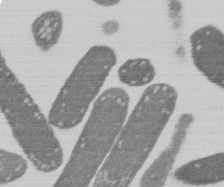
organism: E. coli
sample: Bacterial nucleoid